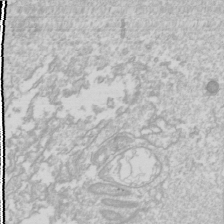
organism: Drosophila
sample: Cell division; meiosis; drosophila spermatocytes